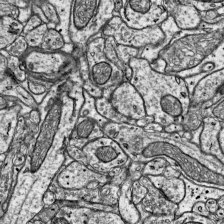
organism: Mouse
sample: Visual Cortex